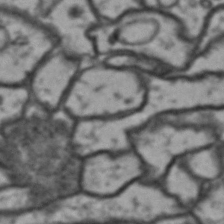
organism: Drosophila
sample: Brain